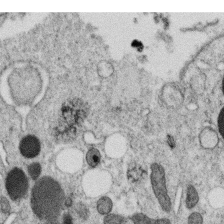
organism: C. elegans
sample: C. elegans oocyte; sperm cells